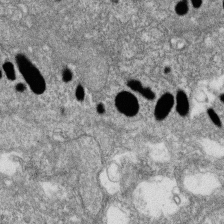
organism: Zebrafish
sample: Cilia; retinal pigment epithelium